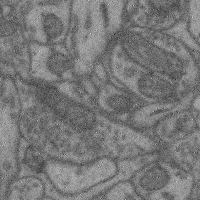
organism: Mouse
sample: Cerebral cortex